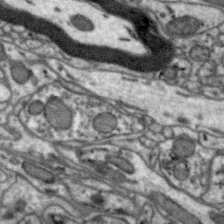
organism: Zebra finch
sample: Brain